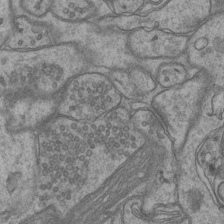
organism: Mouse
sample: CA1 Hippocampus